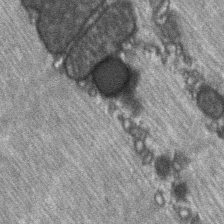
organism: C57BL Mouse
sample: Soleus